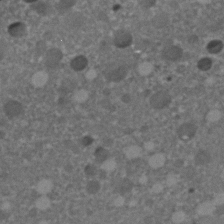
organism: C. elegans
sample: C. elegans embryo